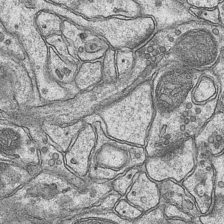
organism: Mouse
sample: CA1 Hippocampus